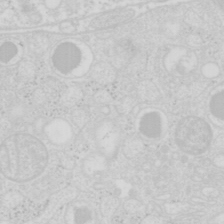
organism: Mouse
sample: Pancreas